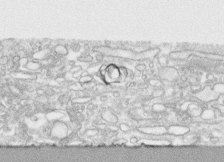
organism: Human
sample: CRL-1474